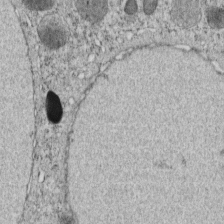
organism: C. elegans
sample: C. elegans embryo early stage